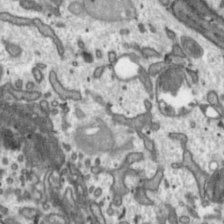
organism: Toxoplasma gondii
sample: Parasites in a vacuole inside a host cell